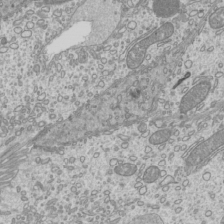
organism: Mouse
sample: Cilia; mouse epididymis